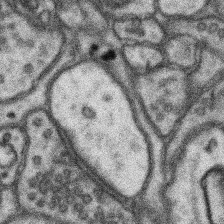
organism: Mouse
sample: Somatosensory cortex neuropil